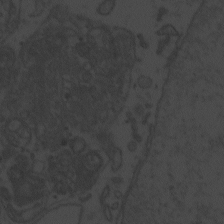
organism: Zebrafish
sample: Macrophage infected with Toxoplasma gondii